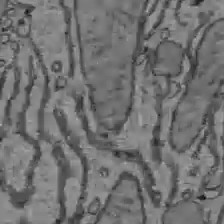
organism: C57BL Mouse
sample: Liver